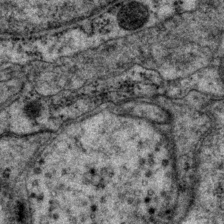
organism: P. pacificus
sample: Pharynx